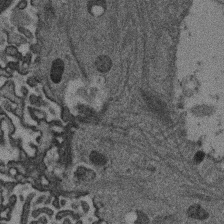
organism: Mouse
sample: Dividing mouse embryo 1 cell stage